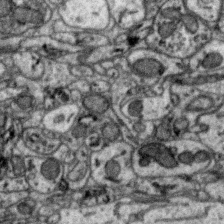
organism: Zebra finch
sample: Brain